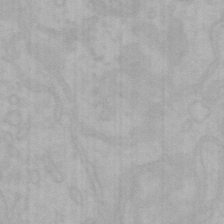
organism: Mouse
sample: Choroid plexus